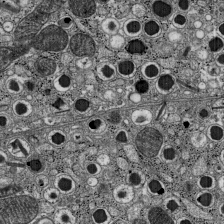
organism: C57BL Mouse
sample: Pancreatic islet